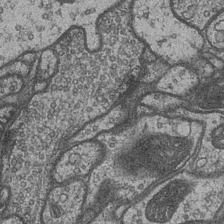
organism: Drosophila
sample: Optic medulla